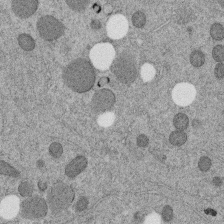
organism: C. elegans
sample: C. elegans embryo early stage